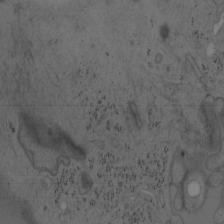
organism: Mouse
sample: OT-I killer T cells with ID8 ovarian cancer cells